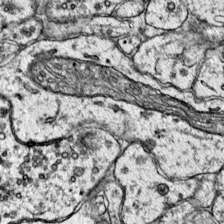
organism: Mouse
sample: Primary visual cortex